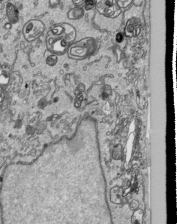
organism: Human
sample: Mitochondria in HCT116 cells